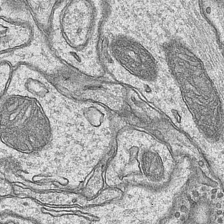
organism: Mouse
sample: CA1 Hippocampus